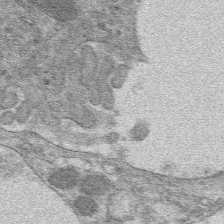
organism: Mouse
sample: Mouse hepatocytes